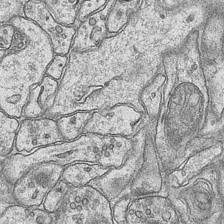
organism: Mouse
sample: CA1 Hippocampus